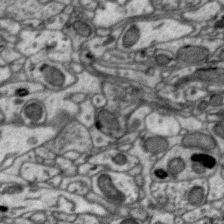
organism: Zebra finch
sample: Brain